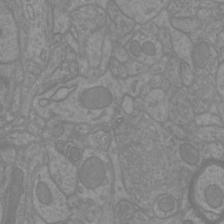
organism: Mouse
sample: Cortical neurons